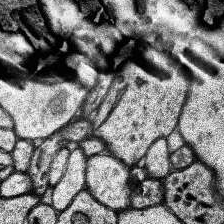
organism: Human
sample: Temporal Lobe